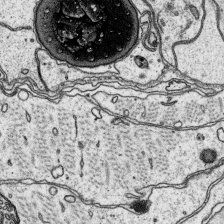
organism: Platynereis dumerilii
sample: Parapodia